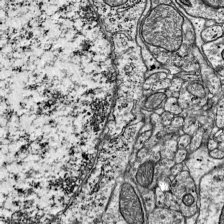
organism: Mouse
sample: Visual Cortex